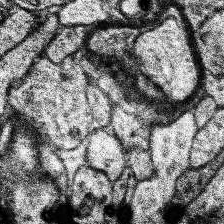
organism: Human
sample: Temporal Lobe